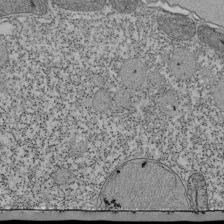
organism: Tetrahymena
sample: Cilia in tetrahymena